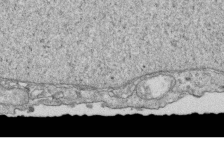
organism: Human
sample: HeLa cell HIV synapse